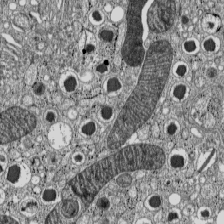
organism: C57BL Mouse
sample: Pancreatic islet